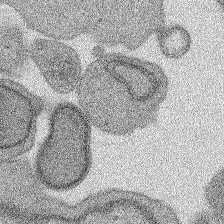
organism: Human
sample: HeLa cells